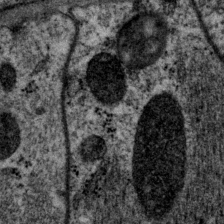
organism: P. pacificus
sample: Pharynx